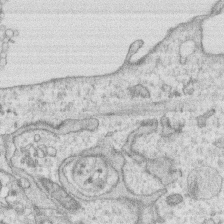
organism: Human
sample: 1205lu cells